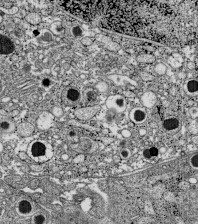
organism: C57BL Mouse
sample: Pancreatic islet